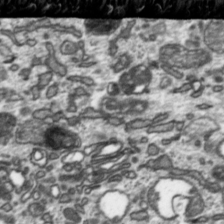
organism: Toxoplasma gondii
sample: Parasites in a vacuole inside a host cell